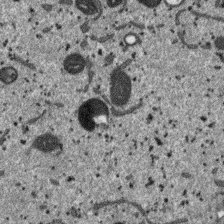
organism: Human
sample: Lung epithelial cells infected with SARS-CoV-2